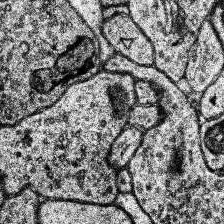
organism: Human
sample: Temporal Lobe